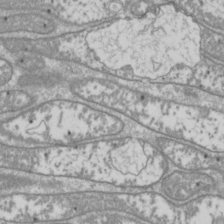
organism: Drosophila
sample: Cell division; meiosis; drosophila spermatocytes